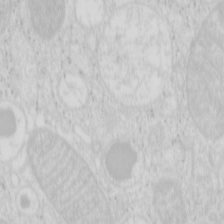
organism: Mouse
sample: Pancreas